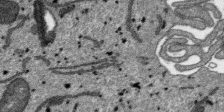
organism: Human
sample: Lung epithelial cells, uninfected (mock) control